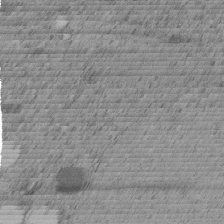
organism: C. elegans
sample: C. elegans embryo early stage